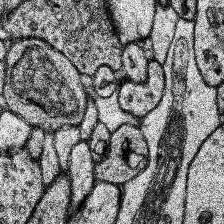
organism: Human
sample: Temporal Lobe